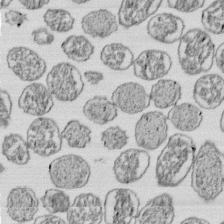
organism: E. coli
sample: Bacterial nucleoid